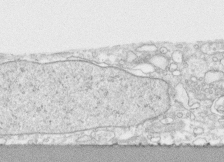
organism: Human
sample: CRL-1474